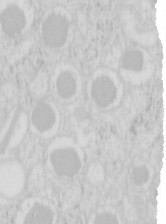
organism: Mouse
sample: Pancreas